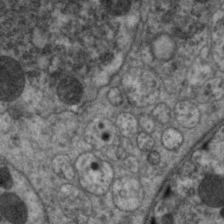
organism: C. elegans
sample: Pharynx